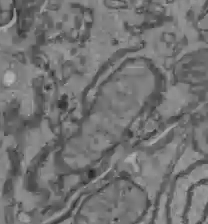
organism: C57BL Mouse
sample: Liver